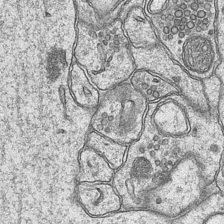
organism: Mouse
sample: CA1 Hippocampus